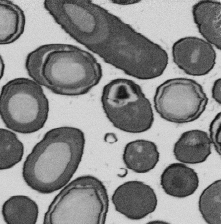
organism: B. subtilis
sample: Bacterial spore